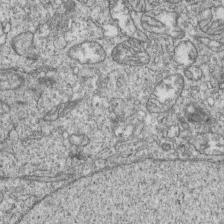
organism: Human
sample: HeLa cell HIV synapse